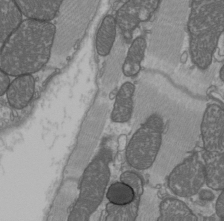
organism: C57BL Mouse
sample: Heart